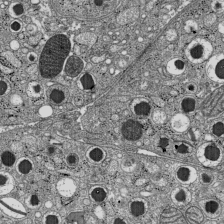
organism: C57BL Mouse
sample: Pancreatic islet